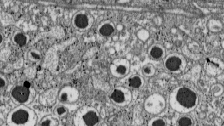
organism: C57BL Mouse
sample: Pancreatic islet